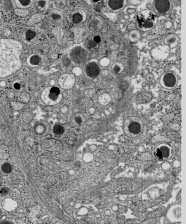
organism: C57BL Mouse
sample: Pancreatic islet